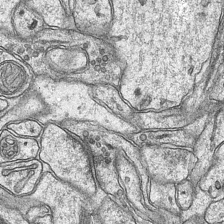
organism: Mouse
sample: CA1 Hippocampus